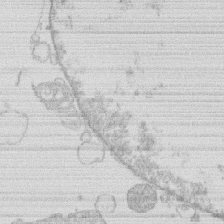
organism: Human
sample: Macrophage cells